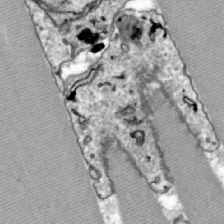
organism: Zebrafish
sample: Actinotrichia fibers